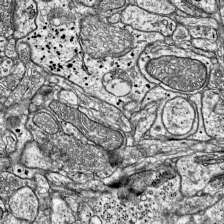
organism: Mouse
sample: Visual Cortex